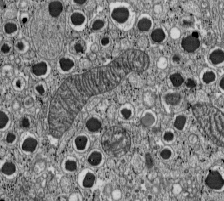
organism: C57BL Mouse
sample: Pancreatic islet